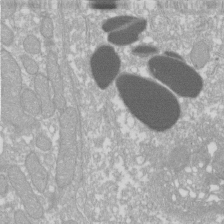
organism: Xenopus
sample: Cilia; centrioles in frog embryo cells